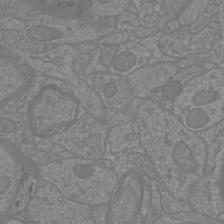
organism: Mouse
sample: Cortical neurons